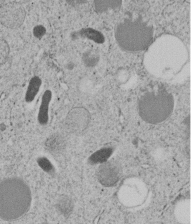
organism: C. elegans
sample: C. elegans embryo early stage